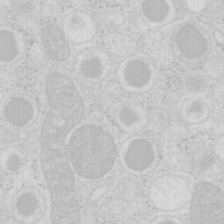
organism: Mouse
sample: Pancreas